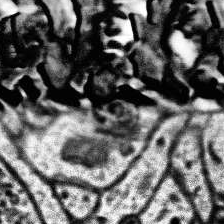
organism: Human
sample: Temporal Lobe